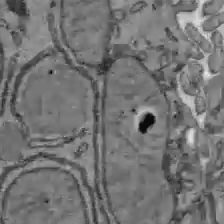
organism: C57BL Mouse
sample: Liver